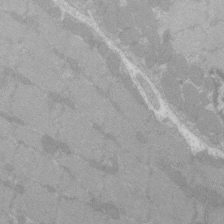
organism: C57BL Mouse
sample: Tibialis anterior muscle cell